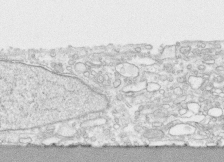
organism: Human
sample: CRL-1474